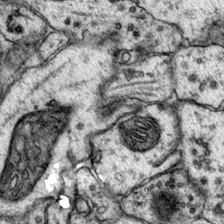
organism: Mouse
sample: Primary visual cortex